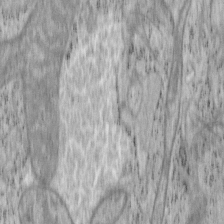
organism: Human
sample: HeLa cells